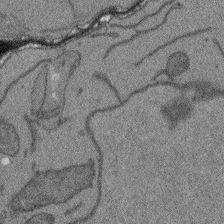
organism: Arabidopsis thaliana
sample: Root tip